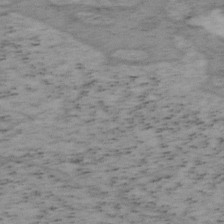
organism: Mouse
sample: OT-I killer T cells with ID8 ovarian cancer cells